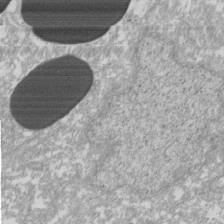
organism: Xenopus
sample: Cilia; centrioles in frog embryo cells